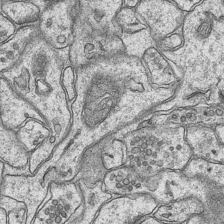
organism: Mouse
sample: CA1 Hippocampus